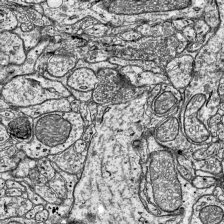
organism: Mouse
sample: Visual Cortex